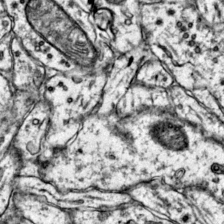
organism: Mouse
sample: Primary visual cortex